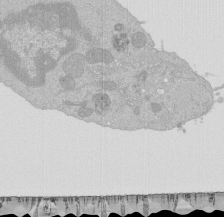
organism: Mouse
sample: Activated Pmel transgenic CD8+ T Cells